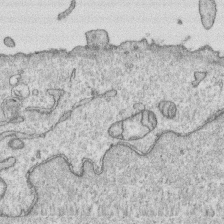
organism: Human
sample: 1205lu cells